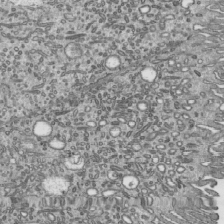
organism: Mouse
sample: Mouse epididymis efferent ductule cilia